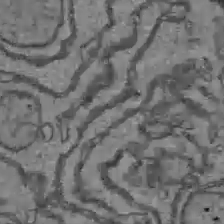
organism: C57BL Mouse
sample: Liver